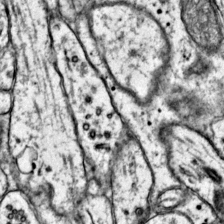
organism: Mouse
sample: Primary visual cortex